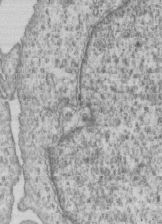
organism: Human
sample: MDA-MB-231 cells